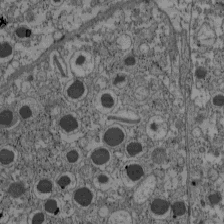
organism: C57BL Mouse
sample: Pancreatic islet